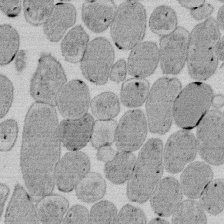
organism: E. coli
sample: Bacterial nucleoid